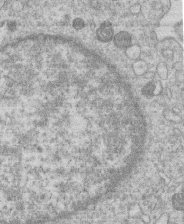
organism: Human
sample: Macrophage cells